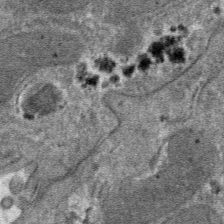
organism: Mouse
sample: Mouse hepatocytes